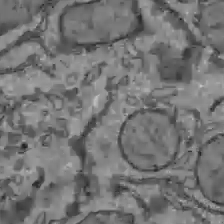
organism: C57BL Mouse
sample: Liver